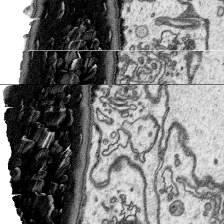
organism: Platynereis dumerilii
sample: Parapodia